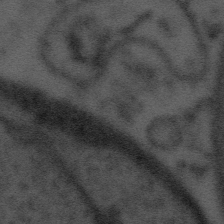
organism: Tuwongella immobilis